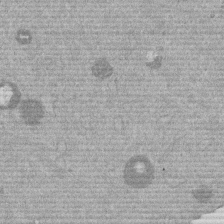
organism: Mouse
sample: Dividing mouse embryo 1 cell stage